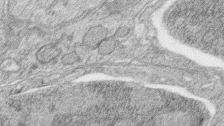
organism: Zebrafish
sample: synaptic ribbons in rod cells and cone cells